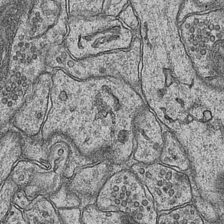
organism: Mouse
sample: CA1 Hippocampus